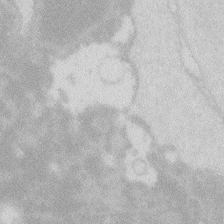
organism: Zebrafish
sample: Macrophage